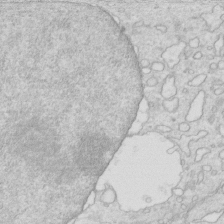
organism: Mouse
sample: Multiciliated cells